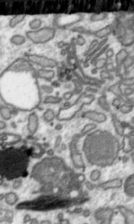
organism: Toxoplasma gondii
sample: Parasites in a vacuole inside a host cell